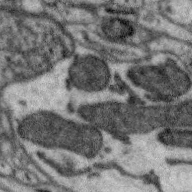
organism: Zebra finch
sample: Brain